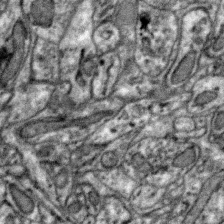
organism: Zebra finch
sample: Brain